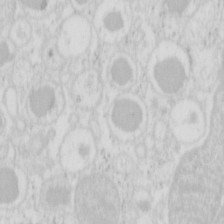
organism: Mouse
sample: Pancreas